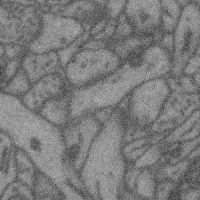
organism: Mouse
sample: Cerebral cortex